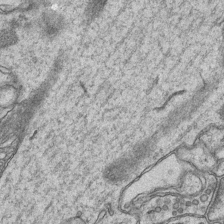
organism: Mouse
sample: CA1 Hippocampus